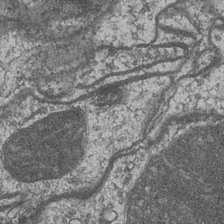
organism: Drosophila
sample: Optic medulla